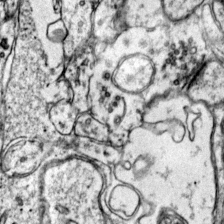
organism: Mouse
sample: Primary visual cortex